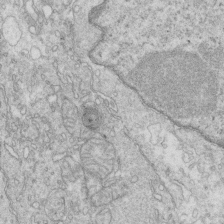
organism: Mouse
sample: Multiciliated cells